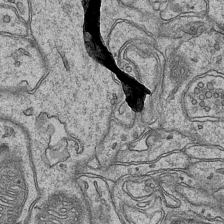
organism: Mouse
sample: CA1 Hippocampus